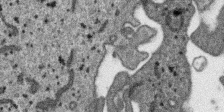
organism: Human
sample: Lung epithelial cells infected with SARS-CoV-2